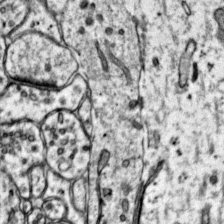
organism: Mouse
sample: Primary visual cortex